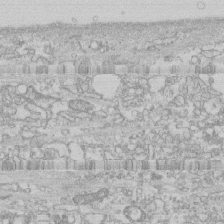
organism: Human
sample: CRL-1474